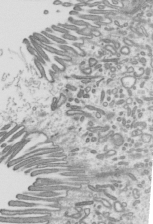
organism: Mouse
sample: Mouse epididymis efferent ductule cilia